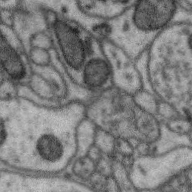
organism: Zebra finch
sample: Brain